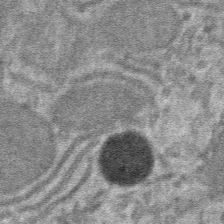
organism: Mouse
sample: Mouse hepatocytes